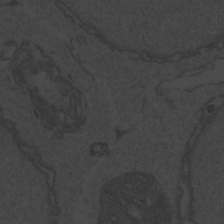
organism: Zebrafish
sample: Macrophage infected with Toxoplasma gondii